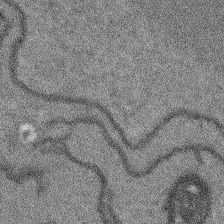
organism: Arabidopsis thaliana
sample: Root tip